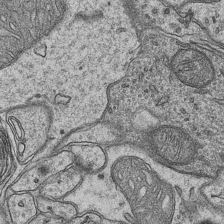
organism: Mouse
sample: CA1 Hippocampus